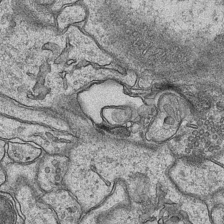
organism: Mouse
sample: CA1 Hippocampus